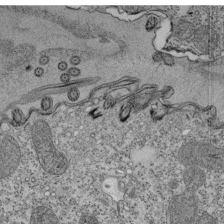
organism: Tetrahymena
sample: Cilia in tetrahymena